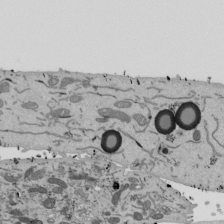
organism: Mouse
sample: ED-1 cell nuclei; centrioles